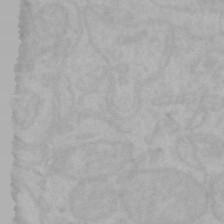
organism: Mouse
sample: Choroid plexus